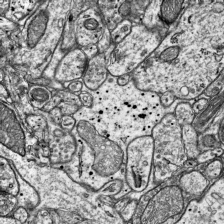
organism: Mouse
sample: Visual Cortex